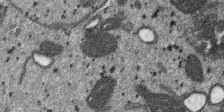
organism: Human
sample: Lung epithelial cells infected with SARS-CoV-2